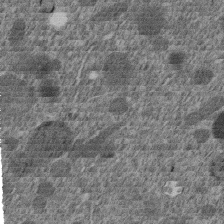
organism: C. elegans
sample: C. elegans embryo early stage